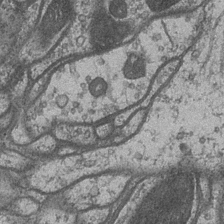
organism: Drosophila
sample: Optic medulla